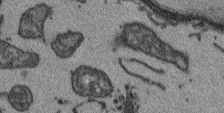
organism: Arabidopsis thaliana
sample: Root tip